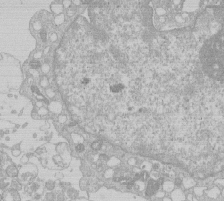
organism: Human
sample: Macrophage cells